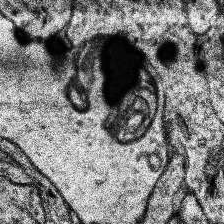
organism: Human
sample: Temporal Lobe